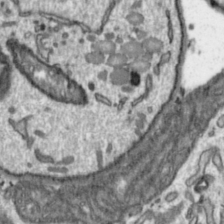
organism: Toxoplasma gondii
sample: Parasites in a vacuole inside a host cell